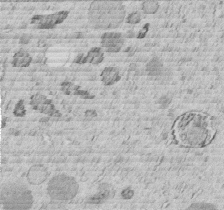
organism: C. elegans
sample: C. elegans embryo early stage